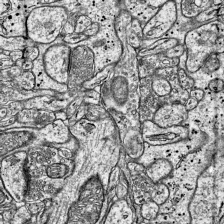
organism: Mouse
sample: Visual Cortex